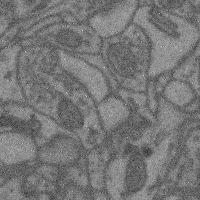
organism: Mouse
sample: Cerebral cortex